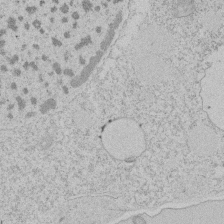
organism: Tetrahymena